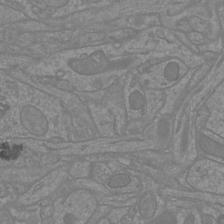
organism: Mouse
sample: Cortical neurons